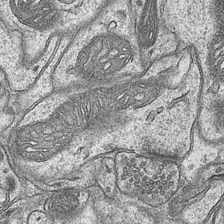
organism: Mouse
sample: CA1 Hippocampus